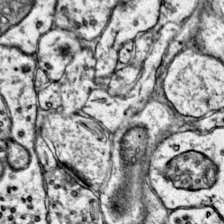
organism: Mouse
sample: Primary visual cortex